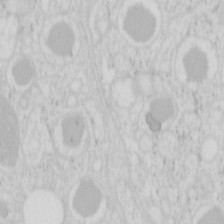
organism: Mouse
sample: Pancreas